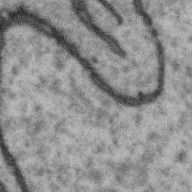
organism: Zebra finch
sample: Brain